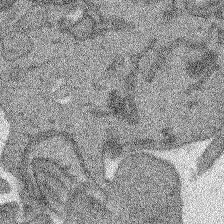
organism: Human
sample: HeLa cells